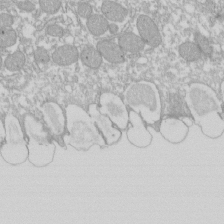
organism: Xenopus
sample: Cilia; centrioles in frog embryo cells